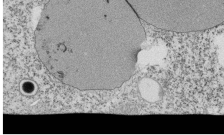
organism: Tetrahymena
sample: Cilia in tetrahymena